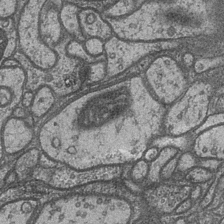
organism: Drosophila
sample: Optic medulla